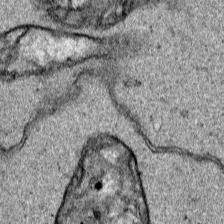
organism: Human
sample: Mitochondria in HCT116 cells